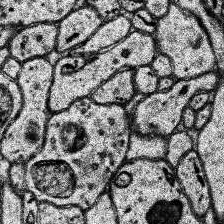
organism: Human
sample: Temporal Lobe